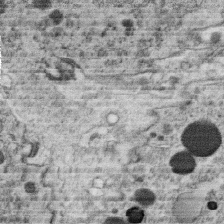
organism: C. elegans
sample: C. elegans oocyte; sperm cells